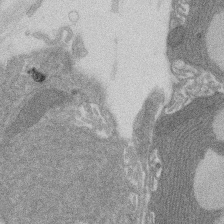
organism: Rat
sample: Salivary granule